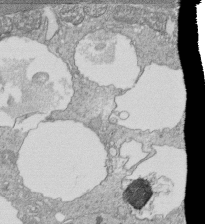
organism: Tetrahymena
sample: Cilia in tetrahymena